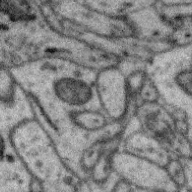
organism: Zebra finch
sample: Brain